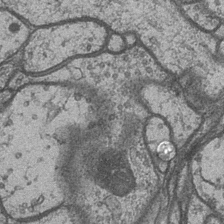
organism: Drosophila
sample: Optic medulla